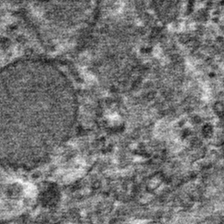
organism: Mouse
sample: Mouse hepatocytes